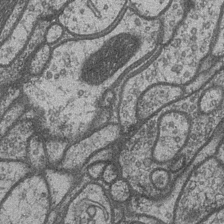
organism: Drosophila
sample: Optic medulla